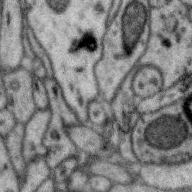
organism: Zebra finch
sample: Brain